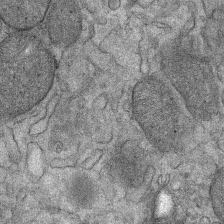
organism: Mouse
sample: Mouse Salivary gland